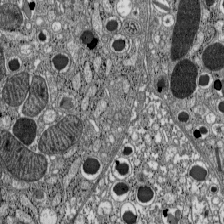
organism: C57BL Mouse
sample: Pancreatic islet